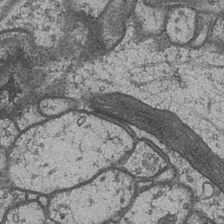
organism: Drosophila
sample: Optic medulla